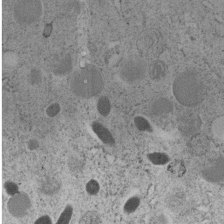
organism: C. elegans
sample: C. elegans embryo early stage